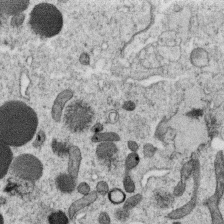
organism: C. elegans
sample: C. elegans oocyte; sperm cells